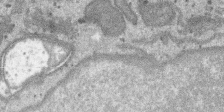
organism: Human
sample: Lung epithelial cells infected with SARS-CoV-2